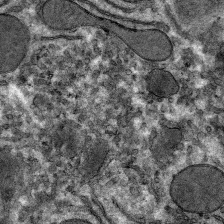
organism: Mouse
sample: Mouse hepatocytes